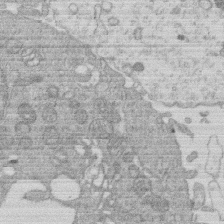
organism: Human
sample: Macrophage cells